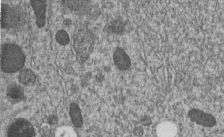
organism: C. elegans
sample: C. elegans embryo early stage